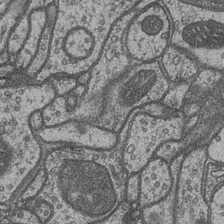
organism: Drosophila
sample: Optic medulla